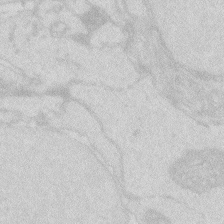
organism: Zebrafish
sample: Macrophage